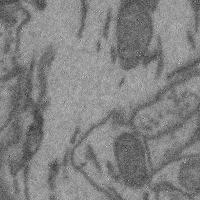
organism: Mouse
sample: Cerebral cortex